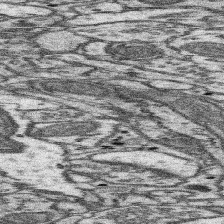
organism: Mouse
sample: Somatosensory cortex neuropil